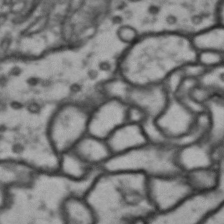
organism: Drosophila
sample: Brain